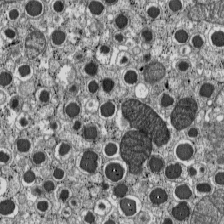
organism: C57BL Mouse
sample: Pancreatic islet